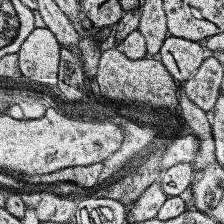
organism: Human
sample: Temporal Lobe